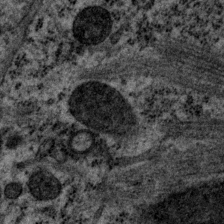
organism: P. pacificus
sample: Pharynx